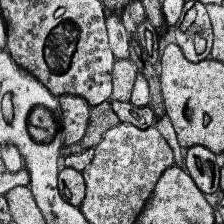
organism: Human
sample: Temporal Lobe